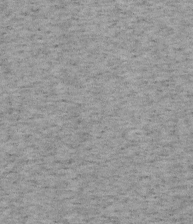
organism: Mouse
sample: OT-I killer T cells with ID8 ovarian cancer cells